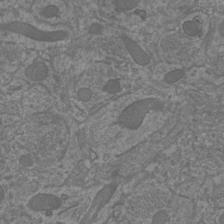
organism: Mouse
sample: Cortical neurons